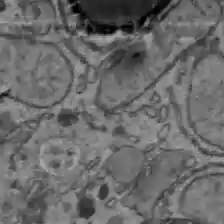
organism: C57BL Mouse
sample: Liver